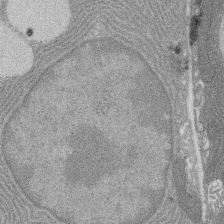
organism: Rat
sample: Salivary granule